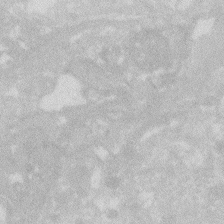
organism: Zebrafish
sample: Macrophage